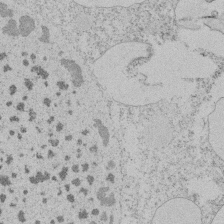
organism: Tetrahymena